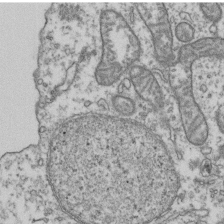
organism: Human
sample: Activated Jurkat CD4+ T cells